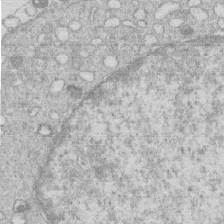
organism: Human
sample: Macrophage cells